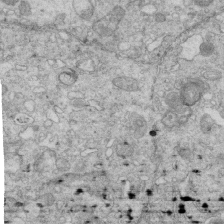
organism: Mouse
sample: Multiciliated cells